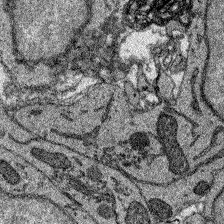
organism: Zebrafish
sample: Larval olfactory bulb